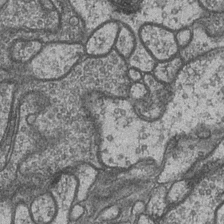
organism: Drosophila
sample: Optic medulla